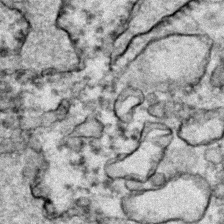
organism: Zebrafish